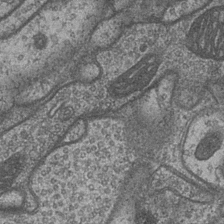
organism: Drosophila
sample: Optic medulla